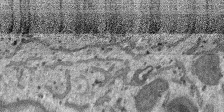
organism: Human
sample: Lung epithelial cells infected with SARS-CoV-2